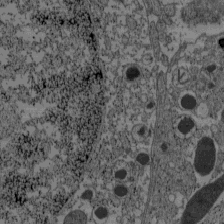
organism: C57BL Mouse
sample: Pancreatic islet